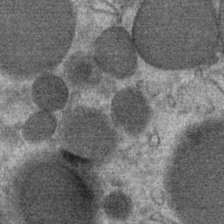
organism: Mouse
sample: Mouse Salivary gland